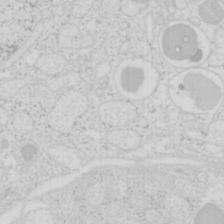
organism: Mouse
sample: Pancreas